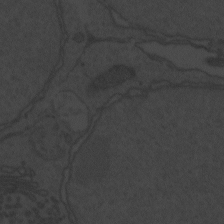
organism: Zebrafish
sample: Macrophage infected with Toxoplasma gondii